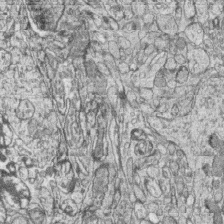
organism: Zebrafish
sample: synaptic ribbons in rod cells and cone cells